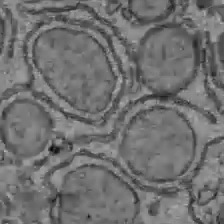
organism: C57BL Mouse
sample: Liver